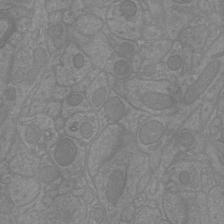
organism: Mouse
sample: Cortical neurons